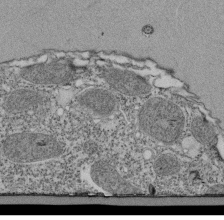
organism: Tetrahymena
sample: Cilia in tetrahymena